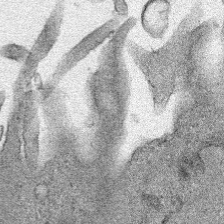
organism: Human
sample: Mitochondria in HCT116 cells